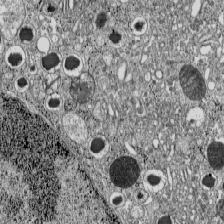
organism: C57BL Mouse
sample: Pancreatic islet